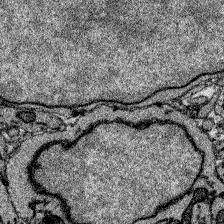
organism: Zebrafish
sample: Larval olfactory bulb